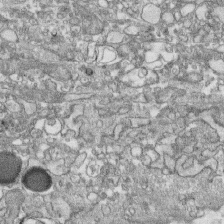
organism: Human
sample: CRL-1474